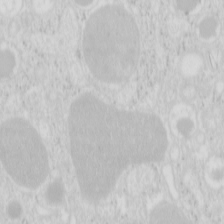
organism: Mouse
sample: Pancreas